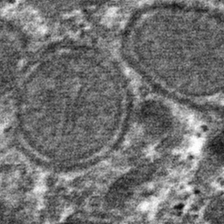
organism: Mouse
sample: Mouse hepatocytes